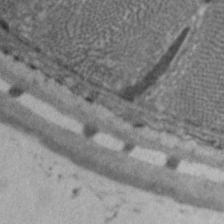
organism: C. elegans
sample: Pharynx